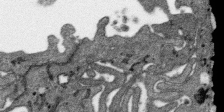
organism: Human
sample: Lung epithelial cells, uninfected (mock) control